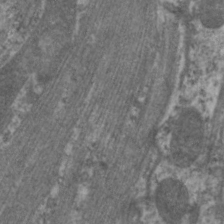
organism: C. elegans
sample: Pharynx